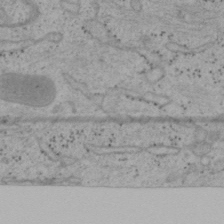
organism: Human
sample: HeLa cells